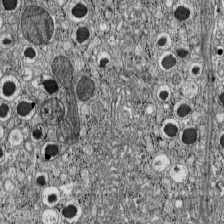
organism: C57BL Mouse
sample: Pancreatic islet